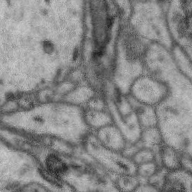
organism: Zebra finch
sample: Brain